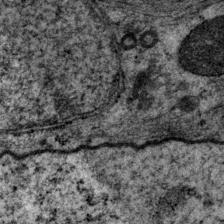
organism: P. pacificus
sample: Pharynx